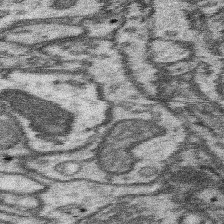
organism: Mouse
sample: Somatosensory cortex neuropil